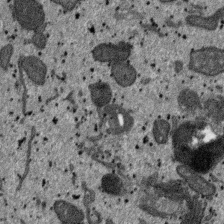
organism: Human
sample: Lung epithelial cells, uninfected (mock) control